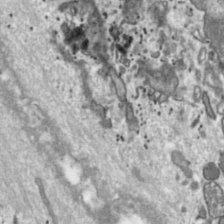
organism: Toxoplasma gondii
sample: Parasites in a vacuole inside a host cell